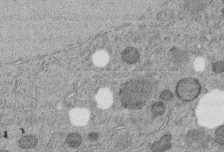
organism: C. elegans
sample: C. elegans embryo early stage